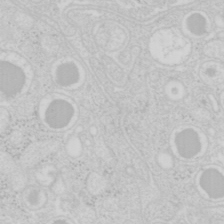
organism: Mouse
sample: Pancreas